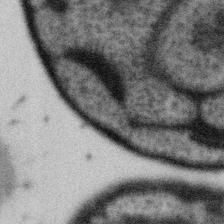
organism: Gemmata obscuriglobus